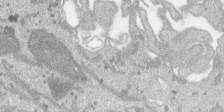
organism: Human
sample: Lung epithelial cells infected with SARS-CoV-2